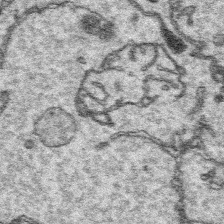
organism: Platynereis dumerilii